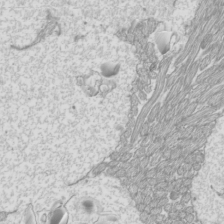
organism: Mouse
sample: Cilia; mouse epididymis